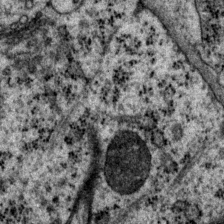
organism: P. pacificus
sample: Pharynx